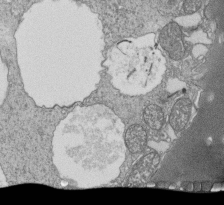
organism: Tetrahymena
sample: Cilia in tetrahymena